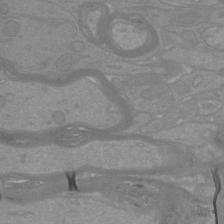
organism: Mouse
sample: Cortical neurons